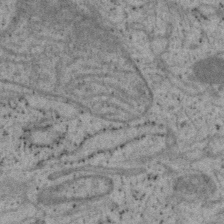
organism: Human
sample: HeLa cells